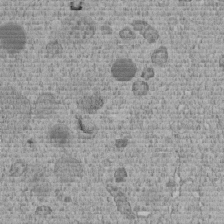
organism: C. elegans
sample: C. elegans embryo early stage